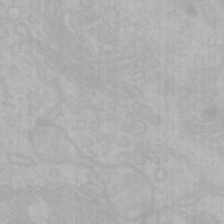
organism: Mouse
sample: Choroid plexus